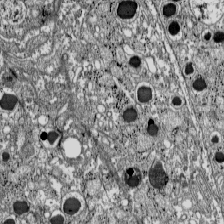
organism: C57BL Mouse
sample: Pancreatic islet